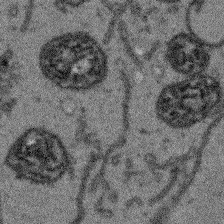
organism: Arabidopsis thaliana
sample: Root tip